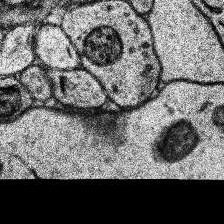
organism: Human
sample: Temporal Lobe